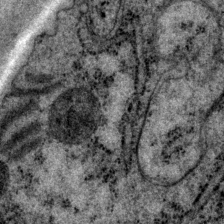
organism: P. pacificus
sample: Pharynx